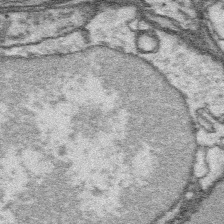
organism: Platynereis dumerilii